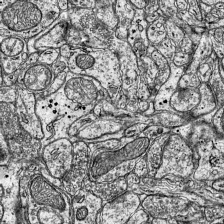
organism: Mouse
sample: Visual Cortex